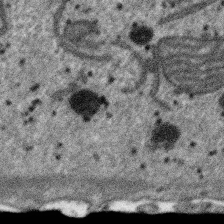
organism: Human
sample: Lung epithelial cells infected with SARS-CoV-2